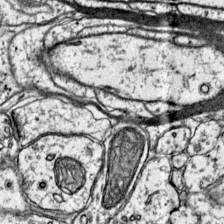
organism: Mouse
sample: Primary visual cortex